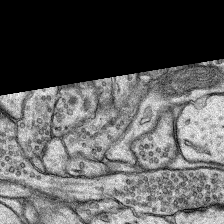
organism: Rat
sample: Hippocampus